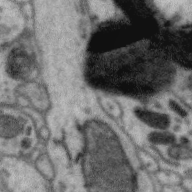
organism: Zebra finch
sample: Brain